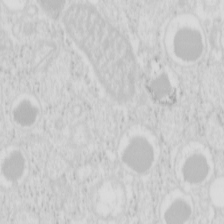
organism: Mouse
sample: Pancreas